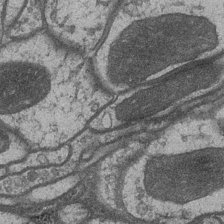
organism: Drosophila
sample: Optic medulla